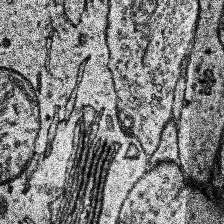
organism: Human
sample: Temporal Lobe